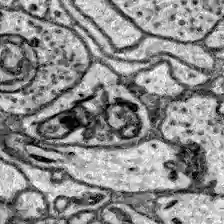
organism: Zebrafish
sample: Brain